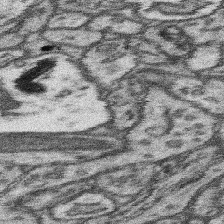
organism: Mouse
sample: Somatosensory cortex neuropil